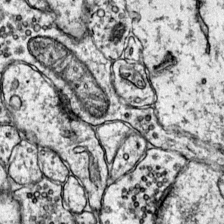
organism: Mouse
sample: Primary visual cortex